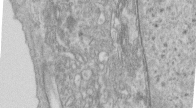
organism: Human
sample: Centriole in RPE cells